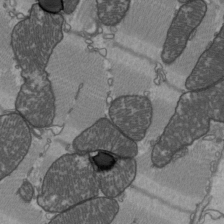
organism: C57BL Mouse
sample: Heart